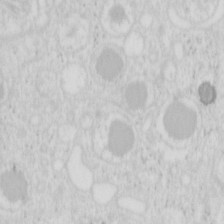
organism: Mouse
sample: Pancreas